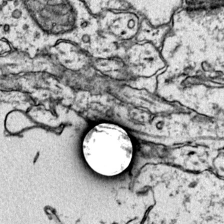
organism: Mouse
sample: Primary visual cortex